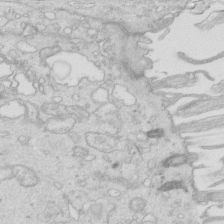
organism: Mouse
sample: Multiciliated cells